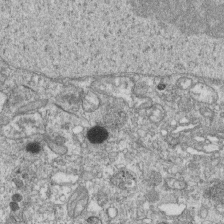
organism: Human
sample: HeLa cell HIV synapse